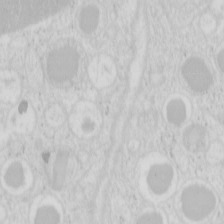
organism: Mouse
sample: Pancreas